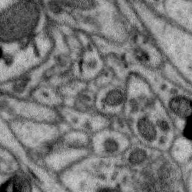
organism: Zebra finch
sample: Brain